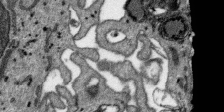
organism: Human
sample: Lung epithelial cells, uninfected (mock) control